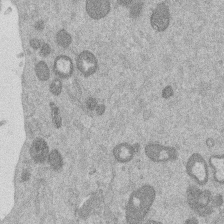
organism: Mouse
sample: Dividing mouse embryo 1 cell stage